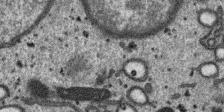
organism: Human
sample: Lung epithelial cells infected with SARS-CoV-2